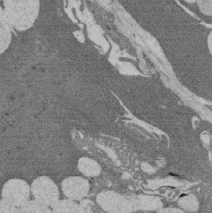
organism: Rat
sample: Salivary granule